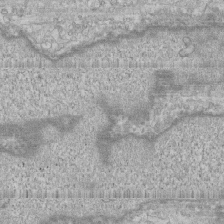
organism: Human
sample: CRL-1474